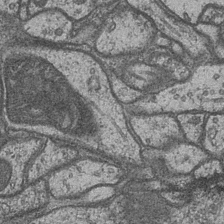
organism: Drosophila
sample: Optic medulla